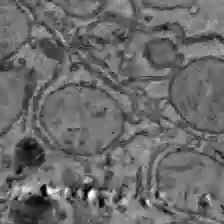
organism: C57BL Mouse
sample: Liver